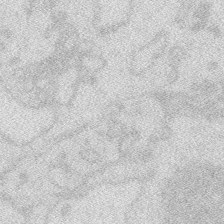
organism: Zebrafish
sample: Macrophage